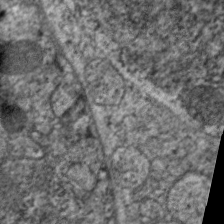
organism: C. elegans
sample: Pharynx